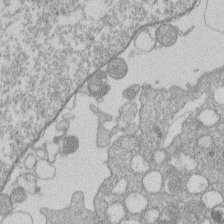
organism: Human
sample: Macrophage cells